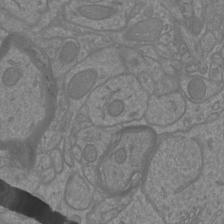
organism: Mouse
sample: Cortical neurons